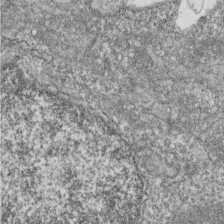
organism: Zebrafish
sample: Cilia; retinal pigment epithelium